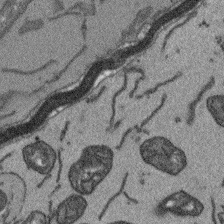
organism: Arabidopsis thaliana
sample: Root tip